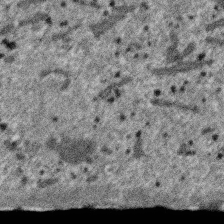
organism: Human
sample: Lung epithelial cells infected with SARS-CoV-2